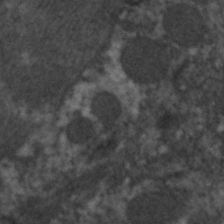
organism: C. elegans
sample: Pharynx